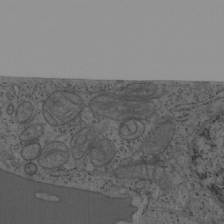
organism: Human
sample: HeLa cells